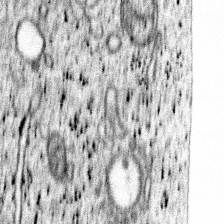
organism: Human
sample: HeLa cells